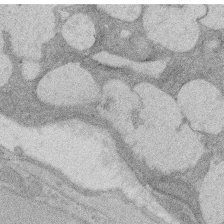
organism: Rat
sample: Salivary granule